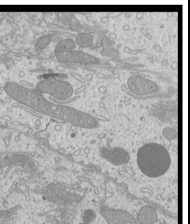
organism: Mouse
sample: Cilia; mouse epididymis